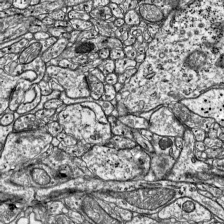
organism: Mouse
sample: Visual Cortex